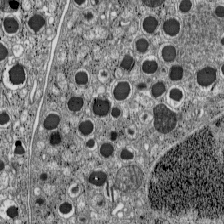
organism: C57BL Mouse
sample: Pancreatic islet